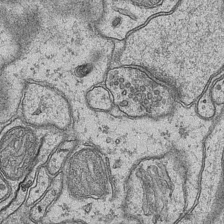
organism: Mouse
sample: CA1 Hippocampus